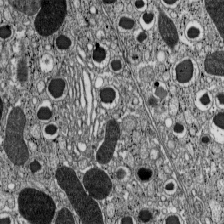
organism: C57BL Mouse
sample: Pancreatic islet